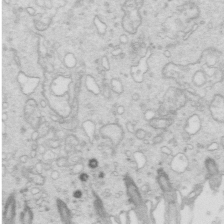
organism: Mouse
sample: Multiciliated cells